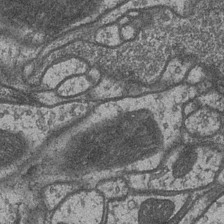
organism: Drosophila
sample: Optic medulla